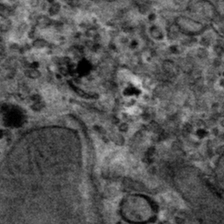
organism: Mouse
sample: Mouse hepatocytes